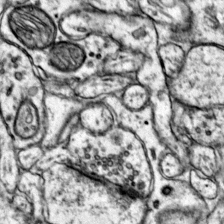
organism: Mouse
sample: Primary visual cortex